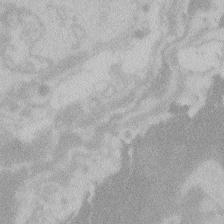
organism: Zebrafish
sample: Macrophage infected with Toxoplasma gondii